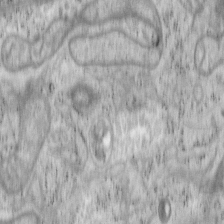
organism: Human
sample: HeLa cells